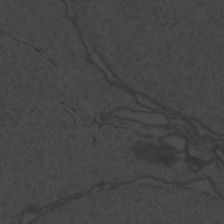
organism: Zebrafish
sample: Macrophage infected with Toxoplasma gondii